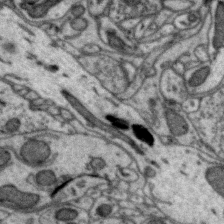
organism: Zebra finch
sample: Brain